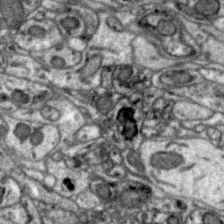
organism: Zebra finch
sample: Brain